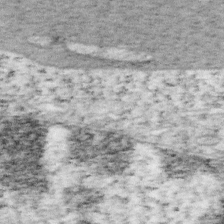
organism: Mouse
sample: OT-I killer T cells with ID8 ovarian cancer cells